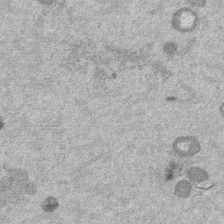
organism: Mouse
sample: Dividing mouse embryo 1 cell stage